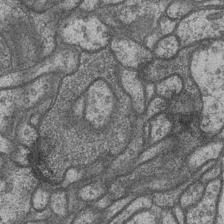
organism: Drosophila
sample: Optic medulla